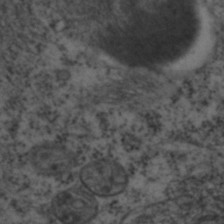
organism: C. elegans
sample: C. elegans embryo